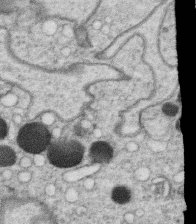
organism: C. elegans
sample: C. elegans oocyte; sperm cells